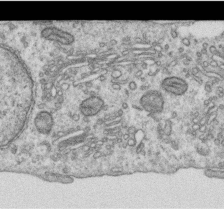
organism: Human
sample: Centriole in RPE cells